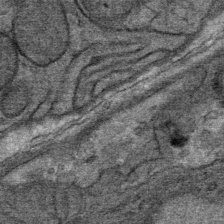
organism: Mouse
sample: Mouse Salivary gland